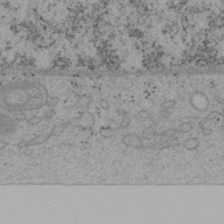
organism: Human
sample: HeLa cells